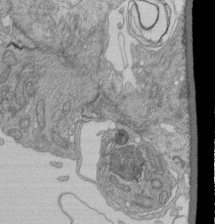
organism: Human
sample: Retinal organoid Rod and Cone cells